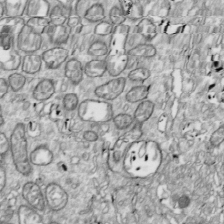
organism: Drosophila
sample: Cell division; meiosis; drosophila spermatocytes